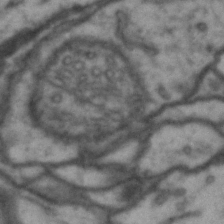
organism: Drosophila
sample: Brain